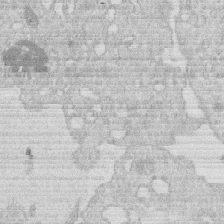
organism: Human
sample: Macrophage cells